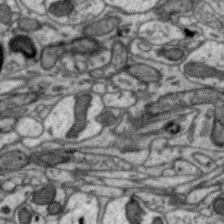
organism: Zebra finch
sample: Brain